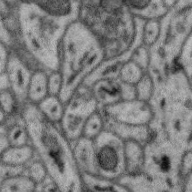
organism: Zebra finch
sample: Brain